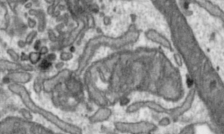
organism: Toxoplasma gondii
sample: Parasites in a vacuole inside a host cell